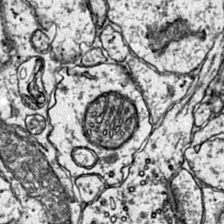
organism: Mouse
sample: Primary visual cortex